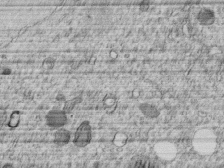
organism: C. elegans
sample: C. elegans embryo early stage